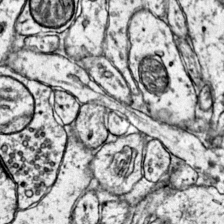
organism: Mouse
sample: Primary visual cortex